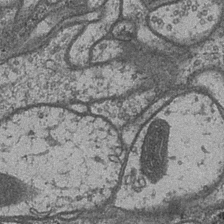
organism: Drosophila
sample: Optic medulla